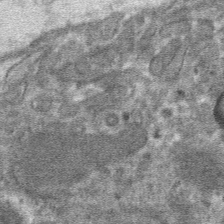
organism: Mouse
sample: Mouse hepatocytes